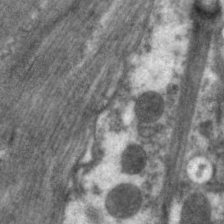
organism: C. elegans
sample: Pharynx